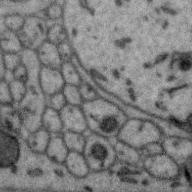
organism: Zebra finch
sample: Brain